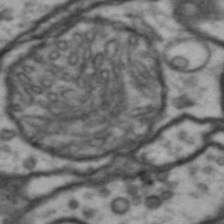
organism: Drosophila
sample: Brain